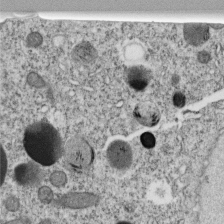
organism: C. elegans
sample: C. elegans embryo early stage